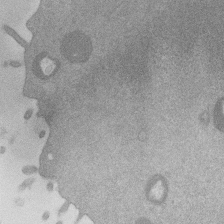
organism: Mouse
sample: Dividing mouse embryo 1 cell stage